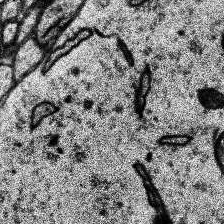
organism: Human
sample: Temporal Lobe